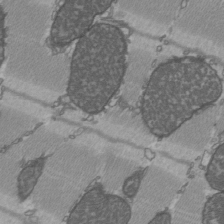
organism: C57BL Mouse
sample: Heart